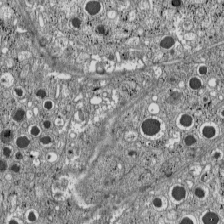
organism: C57BL Mouse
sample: Pancreatic islet